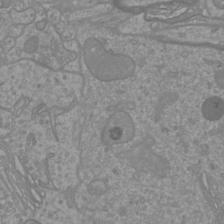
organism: Mouse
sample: Cortical neurons